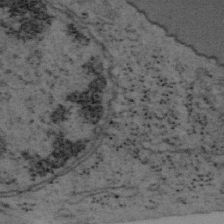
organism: Human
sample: HeLa cells